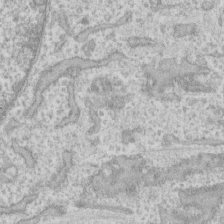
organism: Human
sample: CRL-1474